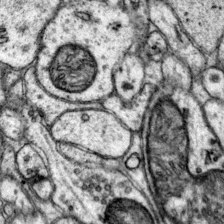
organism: Mouse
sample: Primary visual cortex